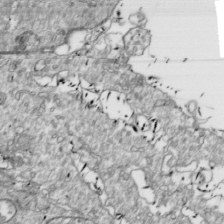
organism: Drosophila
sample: Cell division; meiosis; drosophila spermatocytes